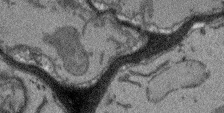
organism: Arabidopsis thaliana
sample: Root tip